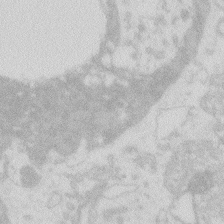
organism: Zebrafish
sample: Macrophage